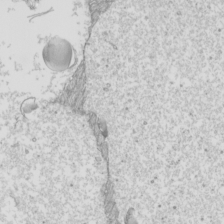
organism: Mouse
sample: Cilia; mouse epididymis